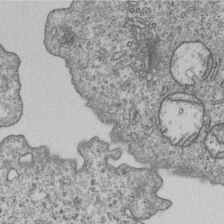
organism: Human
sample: MDA-MB-231 cells